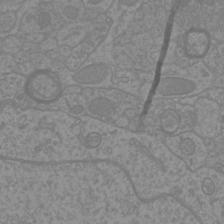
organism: Mouse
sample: Cortical neurons